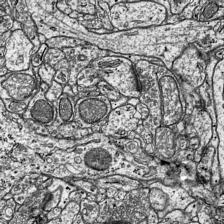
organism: Mouse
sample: Visual Cortex